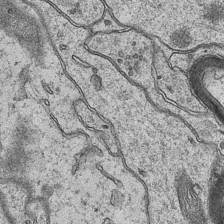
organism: Mouse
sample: CA1 Hippocampus